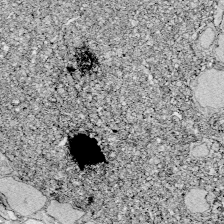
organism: Zebrafish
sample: Whole-Brain